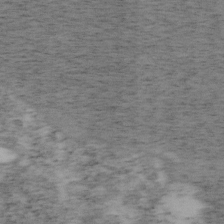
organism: Mouse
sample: OT-I killer T cells with ID8 ovarian cancer cells